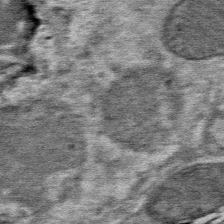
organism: Mouse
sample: Mouse Salivary gland